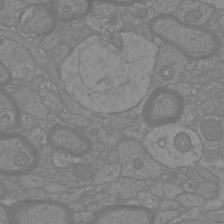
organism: Mouse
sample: Cortical neurons